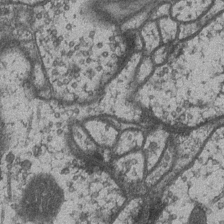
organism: Drosophila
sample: Optic medulla